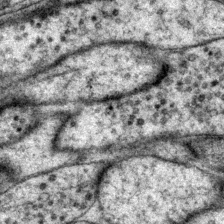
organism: P. pacificus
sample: Pharynx